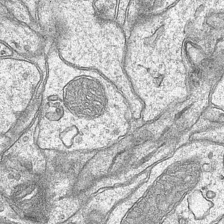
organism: Mouse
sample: CA1 Hippocampus